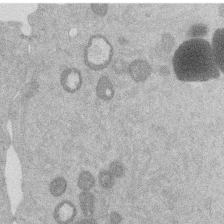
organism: Mouse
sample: Dividing mouse embryo 1 cell stage